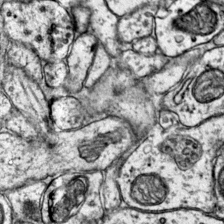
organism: Mouse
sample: Primary visual cortex